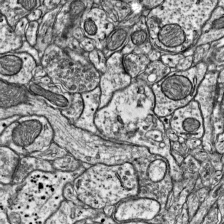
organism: Mouse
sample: Visual Cortex